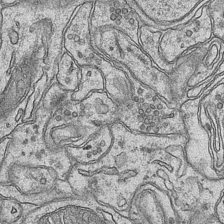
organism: Mouse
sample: CA1 Hippocampus